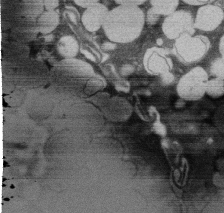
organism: Rat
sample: Salivary granule